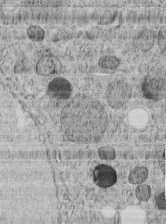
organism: C. elegans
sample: C. elegans embryo early stage